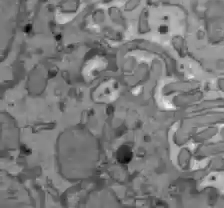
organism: C57BL Mouse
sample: Liver